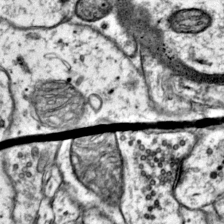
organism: Mouse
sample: Primary visual cortex